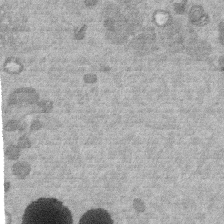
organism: Mouse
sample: Dividing mouse embryo 1 cell stage